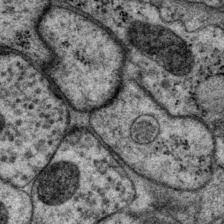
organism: P. pacificus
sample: Pharynx